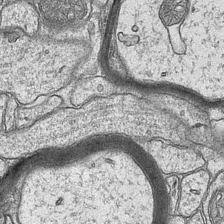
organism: Mouse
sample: CA1 Hippocampus